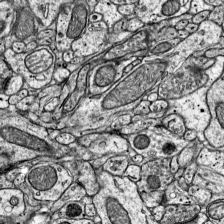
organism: Mouse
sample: Visual Cortex